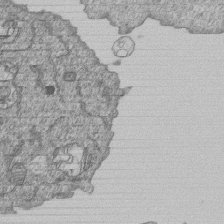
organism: Human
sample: MDA-MB-231 cells